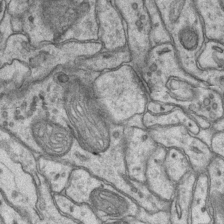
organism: Mouse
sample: CA1 Hippocampus